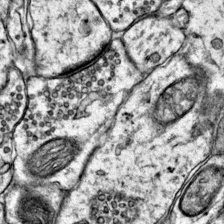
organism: Mouse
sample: Primary visual cortex